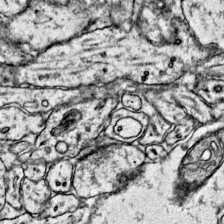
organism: Mouse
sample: Primary visual cortex